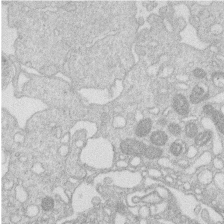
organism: Human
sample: Macrophage cells